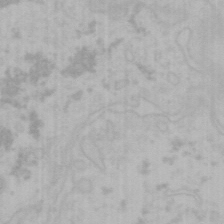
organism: Mouse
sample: Choroid plexus